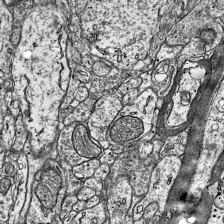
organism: Mouse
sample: Visual Cortex